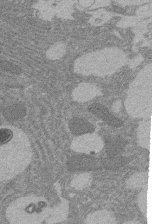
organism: Rat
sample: Salivary granule